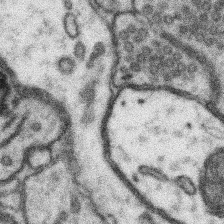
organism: Mouse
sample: Somatosensory cortex neuropil